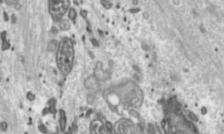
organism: Toxoplasma gondii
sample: Parasites in a vacuole inside a host cell